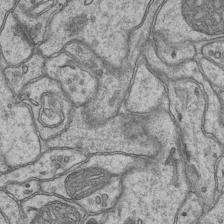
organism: Mouse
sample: CA1 Hippocampus